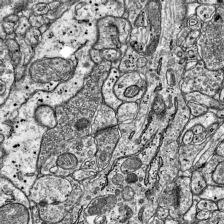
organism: Mouse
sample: Visual Cortex